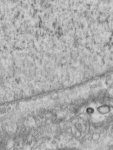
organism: Human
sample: Centriole in RPE cells